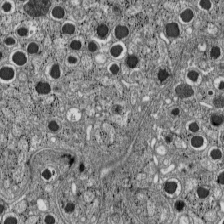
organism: C57BL Mouse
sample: Pancreatic islet